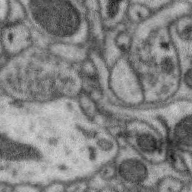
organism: Zebra finch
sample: Brain